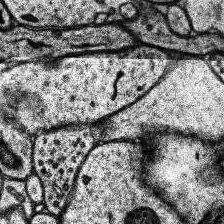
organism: Human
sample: Temporal Lobe